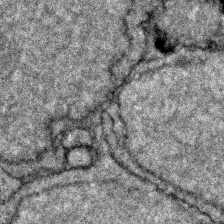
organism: Zebrafish